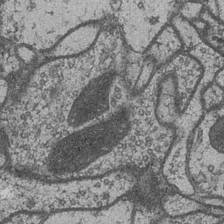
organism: Drosophila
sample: Optic medulla